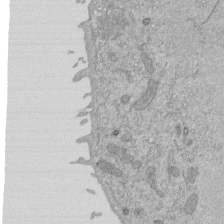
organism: Mouse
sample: ED-1 cell nuclei; centrioles